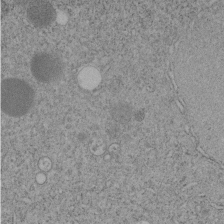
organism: C. elegans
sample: C. elegans embryo early stage